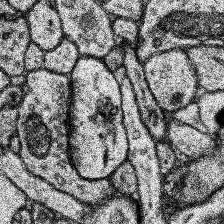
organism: Human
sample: Temporal Lobe